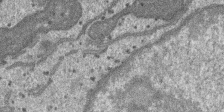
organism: Human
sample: Lung epithelial cells infected with SARS-CoV-2